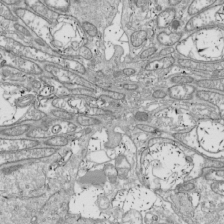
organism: Drosophila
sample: Cell division; meiosis; drosophila spermatocytes